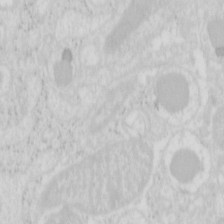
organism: Mouse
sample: Pancreas